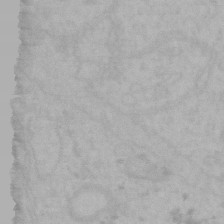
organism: Mouse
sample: Choroid plexus